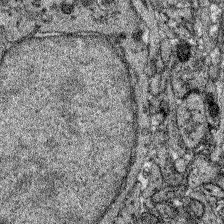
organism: Zebrafish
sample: Larval olfactory bulb